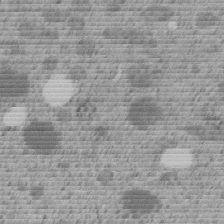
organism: C. elegans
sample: C. elegans embryo early stage